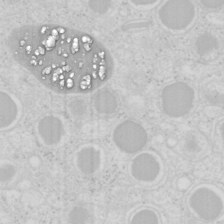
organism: Mouse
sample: Pancreas